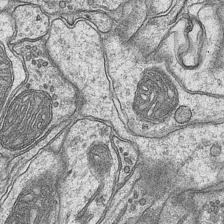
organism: Mouse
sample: CA1 Hippocampus